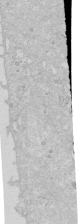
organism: Human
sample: Caco-2 cells